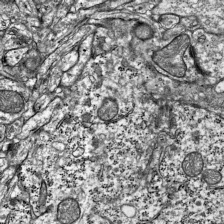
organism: Mouse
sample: Visual Cortex